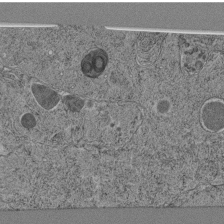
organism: C. elegans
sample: C. elegans pharynx